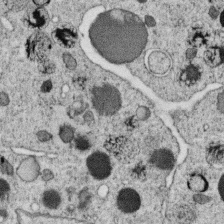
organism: C. elegans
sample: C. elegans oocyte; sperm cells